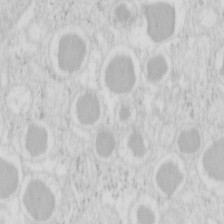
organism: Mouse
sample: Pancreas